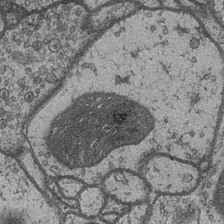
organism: Drosophila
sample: Optic medulla